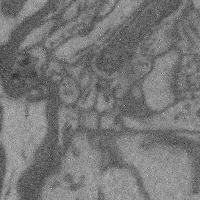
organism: Mouse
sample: Cerebral cortex